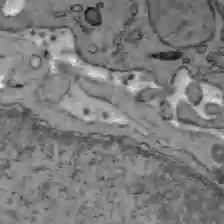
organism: C57BL Mouse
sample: Liver